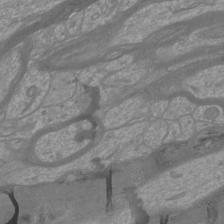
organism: Mouse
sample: Cortical neurons